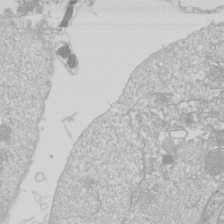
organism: Drosophila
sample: Cell division; meiosis; drosophila spermatocytes